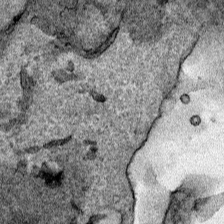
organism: Human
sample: Mitochondria in HCT116 cells